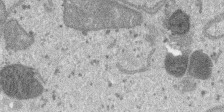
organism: Human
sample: Lung epithelial cells infected with SARS-CoV-2